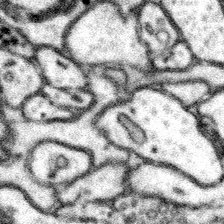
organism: Mouse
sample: Somatosensory cortex neuropil